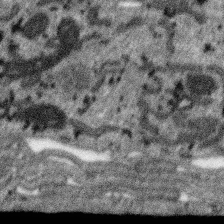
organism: Human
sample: Lung epithelial cells infected with SARS-CoV-2